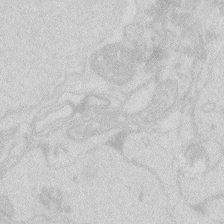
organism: Zebrafish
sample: Macrophage